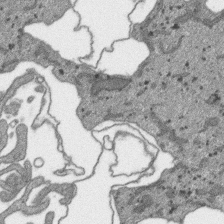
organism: Human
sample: Lung epithelial cells infected with SARS-CoV-2